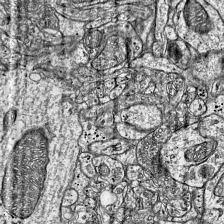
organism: Mouse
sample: Visual Cortex